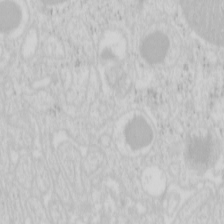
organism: Mouse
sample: Pancreas